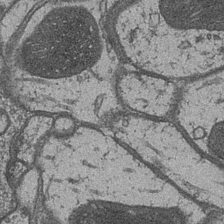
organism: Drosophila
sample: Optic medulla